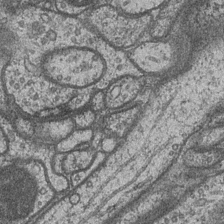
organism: Drosophila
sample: Optic medulla